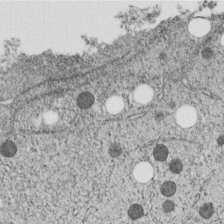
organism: C. elegans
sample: C. elegans embryo early stage